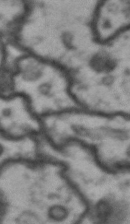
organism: Drosophila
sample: Brain